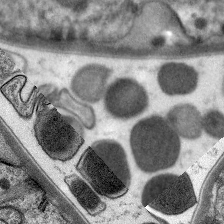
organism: C. elegans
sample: Pharynx